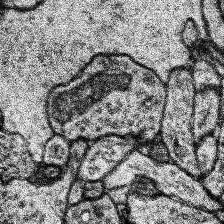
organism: Human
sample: Temporal Lobe